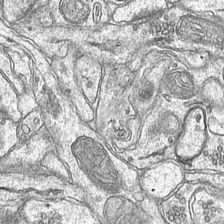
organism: Mouse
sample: CA1 Hippocampus